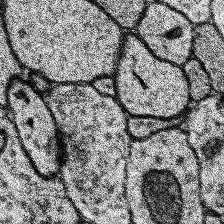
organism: Human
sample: Temporal Lobe